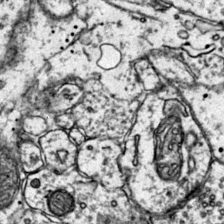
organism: Mouse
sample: Primary visual cortex